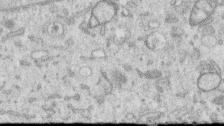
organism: Human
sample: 1205lu cells